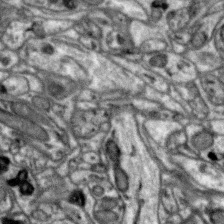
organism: Zebra finch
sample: Brain